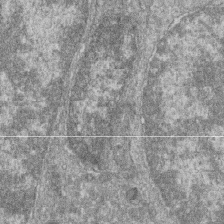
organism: Zebrafish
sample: Cilia; retinal pigment epithelium